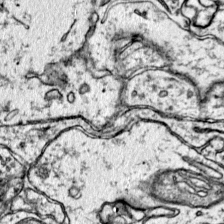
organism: Mouse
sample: Primary visual cortex